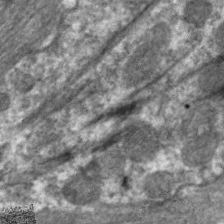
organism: C. elegans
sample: Pharynx